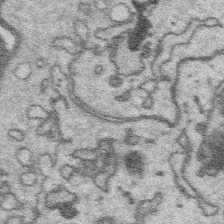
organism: Platynereis dumerilii